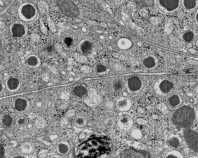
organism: C57BL Mouse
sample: Pancreatic islet